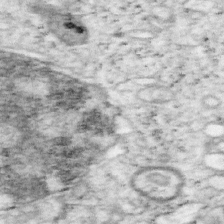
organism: Mouse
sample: OT-I killer T cells with ID8 ovarian cancer cells